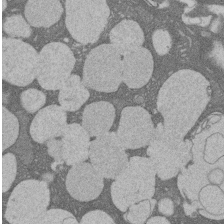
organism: Rat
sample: Salivary granule